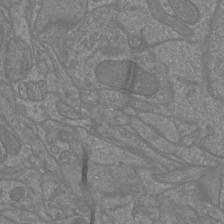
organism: Mouse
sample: Cortical neurons